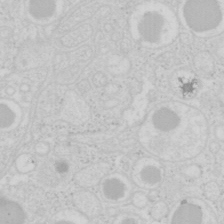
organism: Mouse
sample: Pancreas